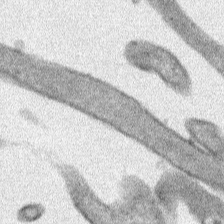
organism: Human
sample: Mitochondria in HCT116 cells